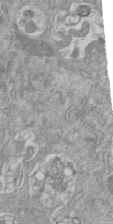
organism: Mouse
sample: ED-1 cell nuclei; centrioles